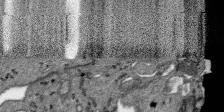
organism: Human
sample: Lung epithelial cells, uninfected (mock) control